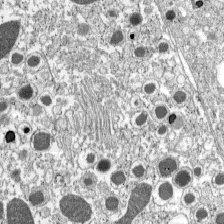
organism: C57BL Mouse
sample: Pancreatic islet